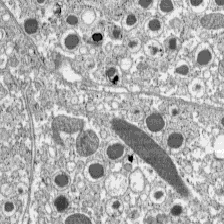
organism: C57BL Mouse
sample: Pancreatic islet